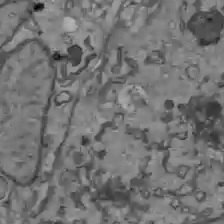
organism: C57BL Mouse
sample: Liver